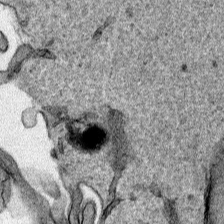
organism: Human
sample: Mitochondria in HCT116 cells